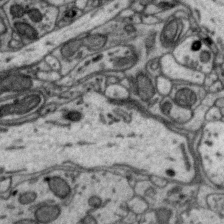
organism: Zebra finch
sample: Brain